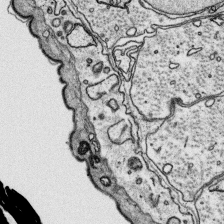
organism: Platynereis dumerilii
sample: Parapodia